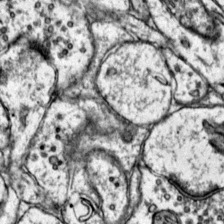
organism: Mouse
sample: Primary visual cortex